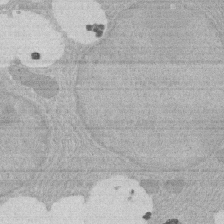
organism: Rat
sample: Salivary granule